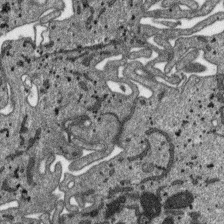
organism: Human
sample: Lung epithelial cells infected with SARS-CoV-2